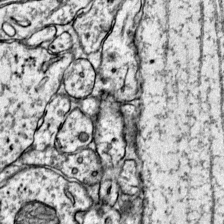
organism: Mouse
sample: Primary visual cortex